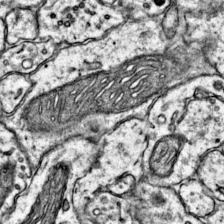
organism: Mouse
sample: Primary visual cortex